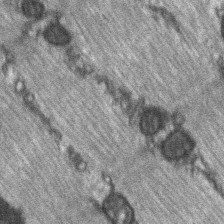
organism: C57BL Mouse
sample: Soleus